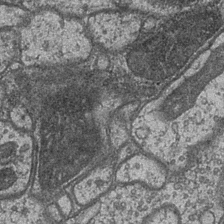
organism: Drosophila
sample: Optic medulla